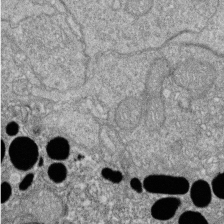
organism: Zebrafish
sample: Cilia; retinal pigment epithelium